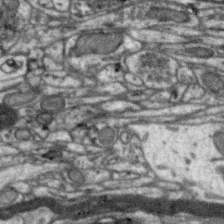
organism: Zebra finch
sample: Brain